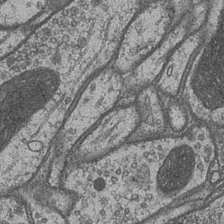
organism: Drosophila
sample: Optic medulla